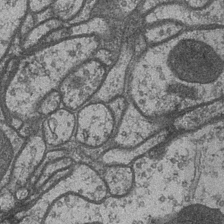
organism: Drosophila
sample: Optic medulla